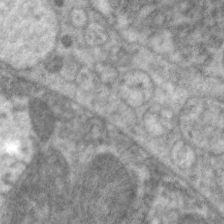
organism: C. elegans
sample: Pharynx